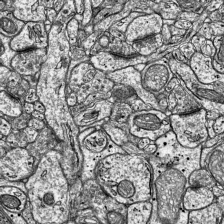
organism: Mouse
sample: Visual Cortex